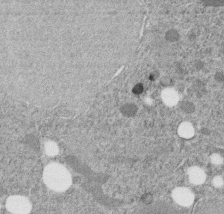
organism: C. elegans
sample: C. elegans embryo early stage